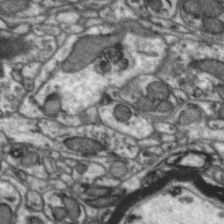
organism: Zebra finch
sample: Brain